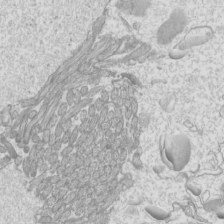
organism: Mouse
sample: Cilia; mouse epididymis